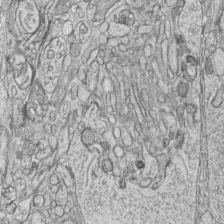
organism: Zebrafish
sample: synaptic ribbons in rod cells and cone cells